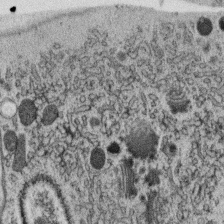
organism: C. elegans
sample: C. elegans oocyte; sperm cells